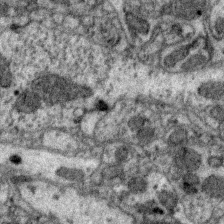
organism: Zebra finch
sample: Brain